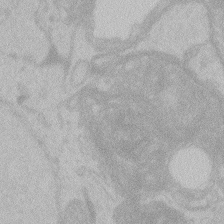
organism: Zebrafish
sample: Macrophage infected with Toxoplasma gondii